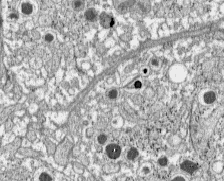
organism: C57BL Mouse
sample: Pancreatic islet